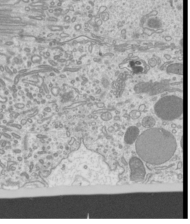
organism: Mouse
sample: Cilia; mouse epididymis